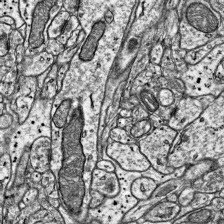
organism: Mouse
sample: Visual Cortex